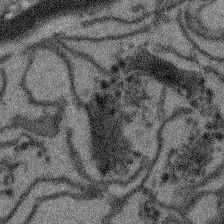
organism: Arabidopsis thaliana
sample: Root tip